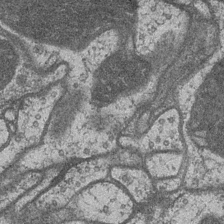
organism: Drosophila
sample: Optic medulla